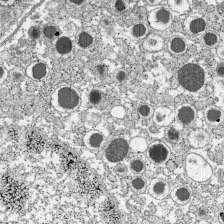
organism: C57BL Mouse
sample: Pancreatic islet